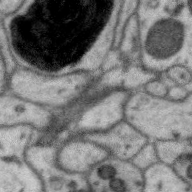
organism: Zebra finch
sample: Brain